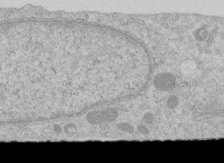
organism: Human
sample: Centriole in RPE cells